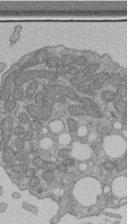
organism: Human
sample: Retinal organoid Rod and Cone cells